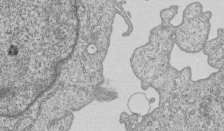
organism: Human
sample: MDA-MB-231 cells